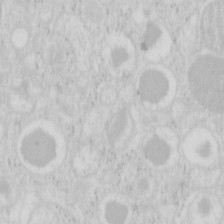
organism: Mouse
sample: Pancreas